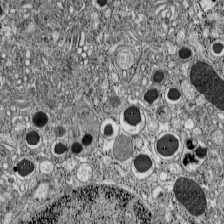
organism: C57BL Mouse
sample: Pancreatic islet